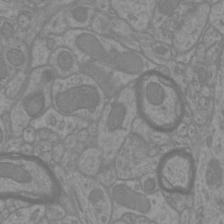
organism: Mouse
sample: Cortical neurons